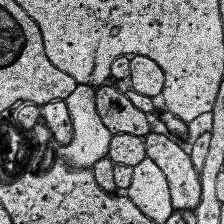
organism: Human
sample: Temporal Lobe